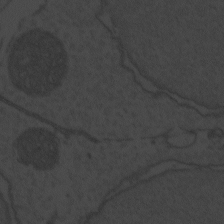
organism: Zebrafish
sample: Macrophage infected with Toxoplasma gondii